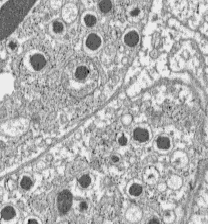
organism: C57BL Mouse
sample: Pancreatic islet